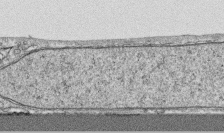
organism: Human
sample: CRL-1474